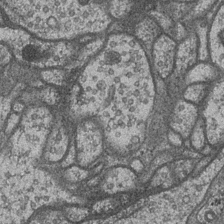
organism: Drosophila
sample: Optic medulla